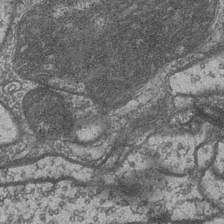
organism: Drosophila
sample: Optic medulla